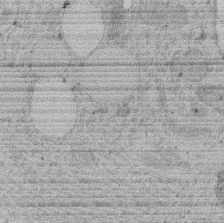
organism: Rat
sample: Salivary granule